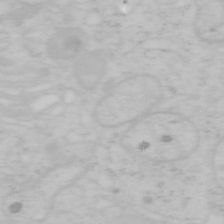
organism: Mouse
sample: OT-I killer T cells with ID8 ovarian cancer cells